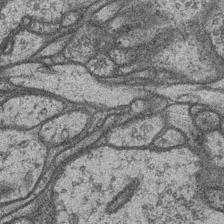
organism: Drosophila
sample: Optic medulla